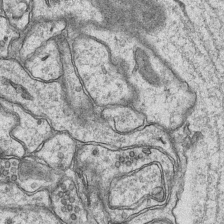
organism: Mouse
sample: CA1 Hippocampus